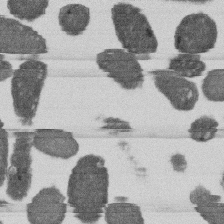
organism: E. coli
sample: Bacterial nucleoid